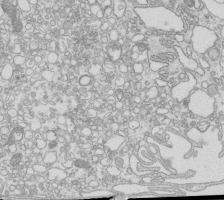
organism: Mouse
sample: Macrophages